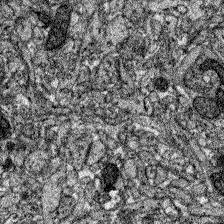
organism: Zebrafish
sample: Larval olfactory bulb